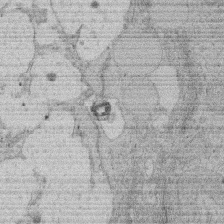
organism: Rat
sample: Salivary granule